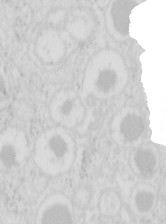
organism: Mouse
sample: Pancreas